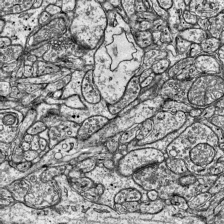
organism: Mouse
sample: Visual Cortex